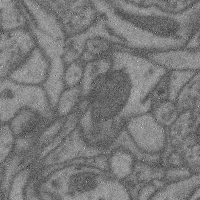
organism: Mouse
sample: Cerebral cortex